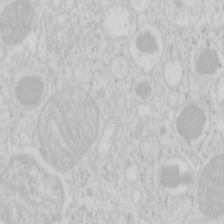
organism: Mouse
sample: Pancreas